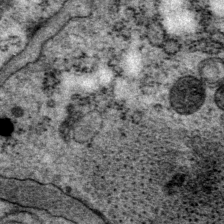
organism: P. pacificus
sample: Pharynx